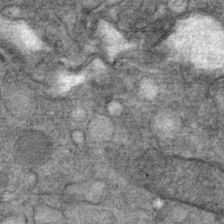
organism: Mouse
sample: Mouse Salivary gland